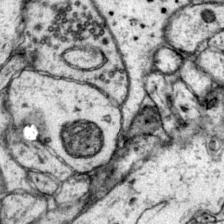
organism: Mouse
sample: Primary visual cortex